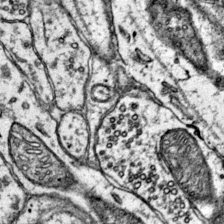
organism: Mouse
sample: Primary visual cortex